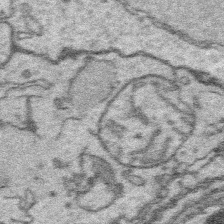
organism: Platynereis dumerilii